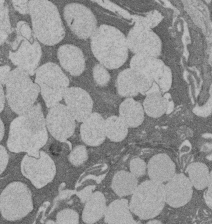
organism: Rat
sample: Salivary granule